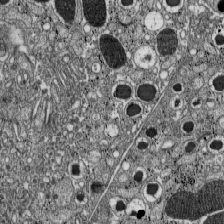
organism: C57BL Mouse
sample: Pancreatic islet